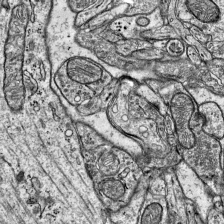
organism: Mouse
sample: Visual Cortex